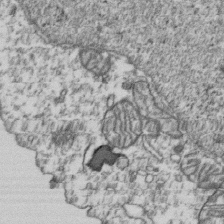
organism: Human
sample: Activated Jurkat CD4+ T cells